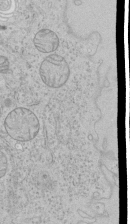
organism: Human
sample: Mitochondria in HCT116 cells